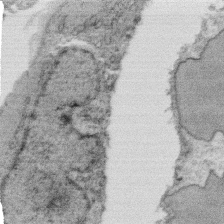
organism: C. elegans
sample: C. elegans oocyte; sperm cells